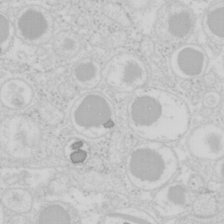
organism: Mouse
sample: Pancreas